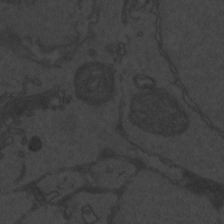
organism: Zebrafish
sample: Macrophage infected with Toxoplasma gondii